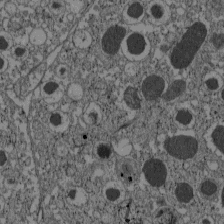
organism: C57BL Mouse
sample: Pancreatic islet